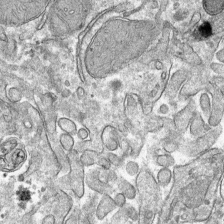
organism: Mouse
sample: Mouse hepatocytes